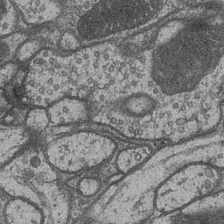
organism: Drosophila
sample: Optic medulla